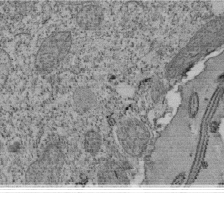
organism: Tetrahymena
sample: Cilia in tetrahymena